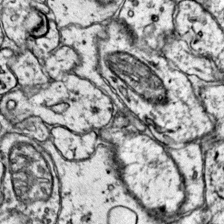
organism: Mouse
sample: Primary visual cortex